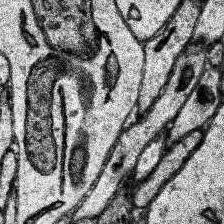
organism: Human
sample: Temporal Lobe